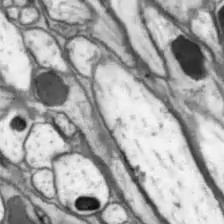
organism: Drosophila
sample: Optic lobe